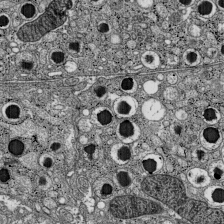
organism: C57BL Mouse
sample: Pancreatic islet